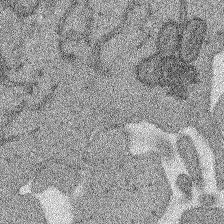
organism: Human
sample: HeLa cells